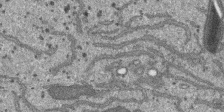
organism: Human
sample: Lung epithelial cells infected with SARS-CoV-2